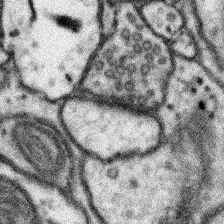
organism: Mouse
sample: Somatosensory cortex neuropil